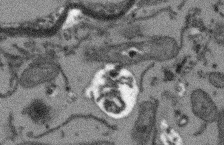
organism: Arabidopsis thaliana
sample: Root tip